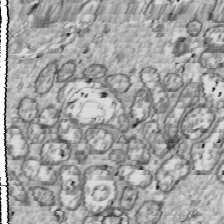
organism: Drosophila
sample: Cell division; meiosis; drosophila spermatocytes